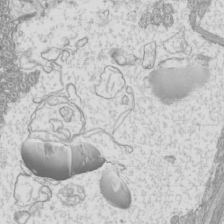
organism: Mouse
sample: Cilia; mouse epididymis